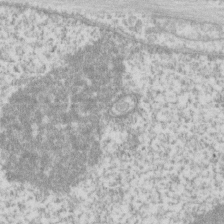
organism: Human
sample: Fibroblast cells